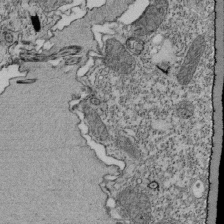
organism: Tetrahymena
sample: Cilia in tetrahymena